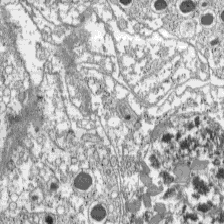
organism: C57BL Mouse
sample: Pancreatic islet